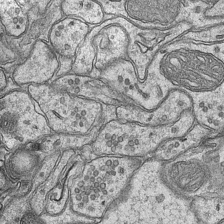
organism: Mouse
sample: CA1 Hippocampus